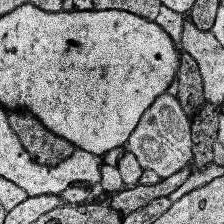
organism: Human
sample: Temporal Lobe